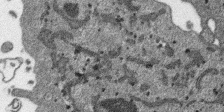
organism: Human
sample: Lung epithelial cells infected with SARS-CoV-2